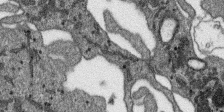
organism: Human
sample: Lung epithelial cells infected with SARS-CoV-2